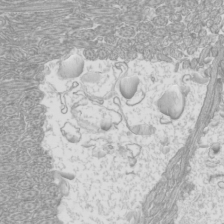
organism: Mouse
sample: Cilia; mouse epididymis